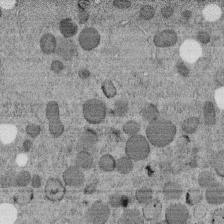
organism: C. elegans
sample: C. elegans embryo early stage